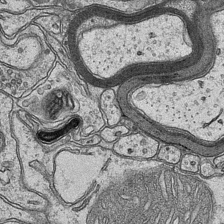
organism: Mouse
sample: CA1 Hippocampus